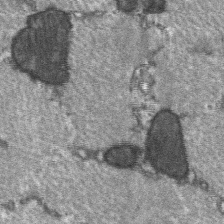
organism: C57BL Mouse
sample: Soleus